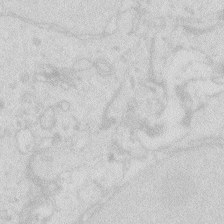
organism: Zebrafish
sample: Macrophage